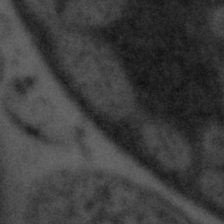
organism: Tuwongella immobilis